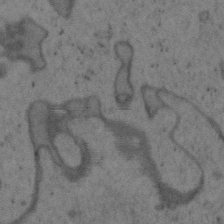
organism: Human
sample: HeLa cells